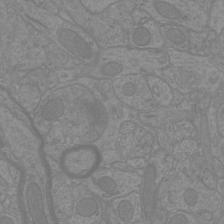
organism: Mouse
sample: Cortical neurons